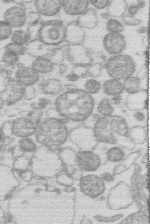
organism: Human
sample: Macrophage cells